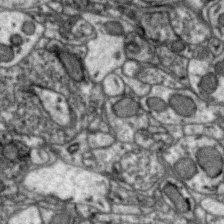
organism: Zebra finch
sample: Brain